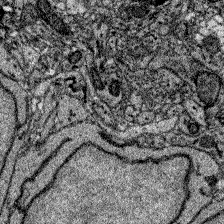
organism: Zebrafish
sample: Larval olfactory bulb